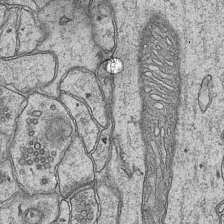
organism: Mouse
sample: CA1 Hippocampus